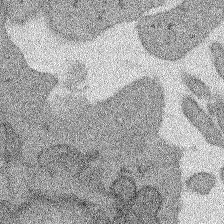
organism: Human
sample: HeLa cells